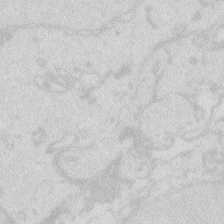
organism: Zebrafish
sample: Macrophage